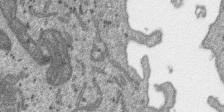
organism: Human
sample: Lung epithelial cells infected with SARS-CoV-2